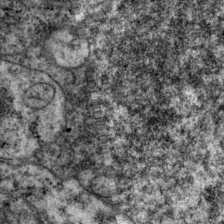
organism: P. pacificus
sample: Pharynx